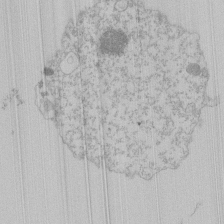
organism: Mouse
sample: Activated Pmel transgenic CD8+ T Cells